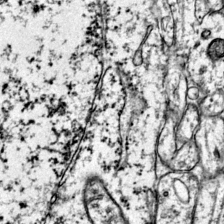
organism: Mouse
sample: Primary visual cortex